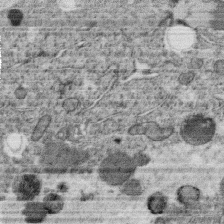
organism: C. elegans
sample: C. elegans oocyte; sperm cells